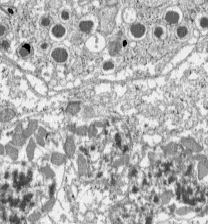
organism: C57BL Mouse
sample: Pancreatic islet